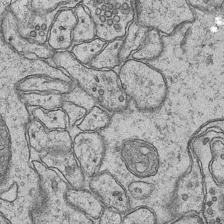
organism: Mouse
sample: CA1 Hippocampus